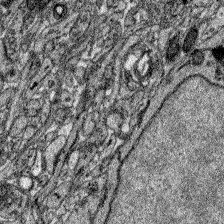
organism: Zebrafish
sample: Larval olfactory bulb